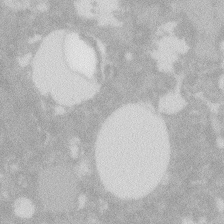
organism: Zebrafish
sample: Macrophage